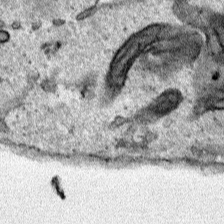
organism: Human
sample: Mitochondria in HCT116 cells